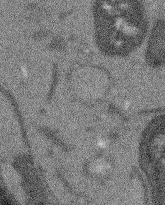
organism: Arabidopsis thaliana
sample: Root tip